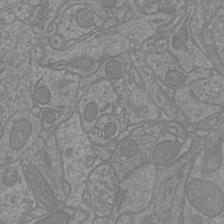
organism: Mouse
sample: Cortical neurons